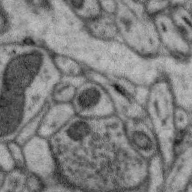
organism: Zebra finch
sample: Brain